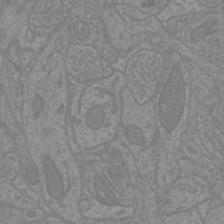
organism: Mouse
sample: Cortical neurons